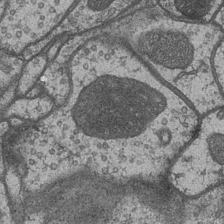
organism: Drosophila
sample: Optic medulla